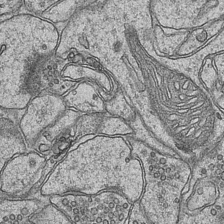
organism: Mouse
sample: CA1 Hippocampus